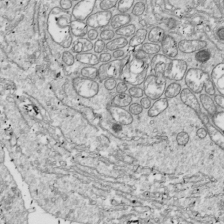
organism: Drosophila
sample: Cell division; meiosis; drosophila spermatocytes